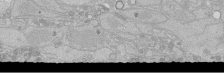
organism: Human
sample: Caco-2 cells